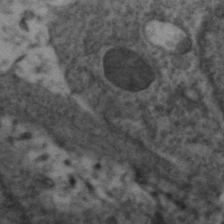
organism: Zebrafish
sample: Zebrafish embryo